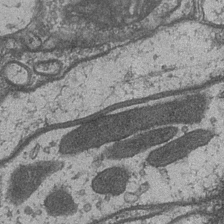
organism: Drosophila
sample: Optic medulla